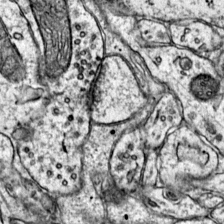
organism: Mouse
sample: Primary visual cortex